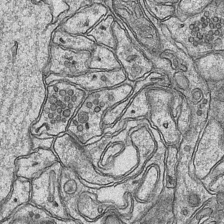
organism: Mouse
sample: CA1 Hippocampus